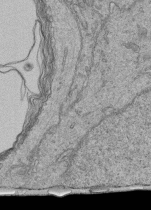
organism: Human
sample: Retinal organoid Rod and Cone cells